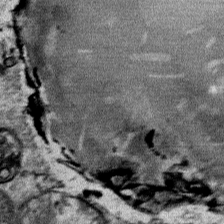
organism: Mouse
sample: Mouse Salivary gland